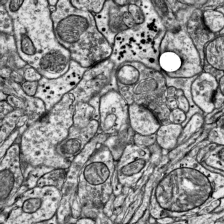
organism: Mouse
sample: Visual Cortex